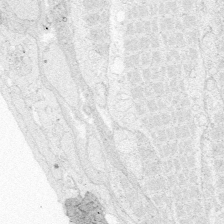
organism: Zebrafish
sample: Whole-Brain